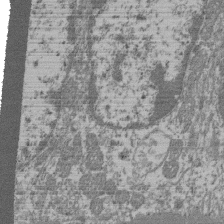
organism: Mouse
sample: Glomerulus